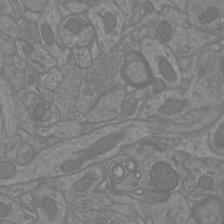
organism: Mouse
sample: Cortical neurons